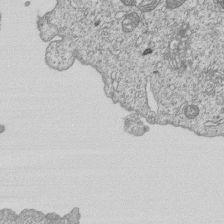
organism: Human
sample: MDA-MB-231 cells